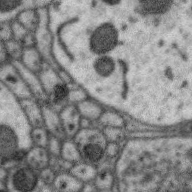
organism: Zebra finch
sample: Brain